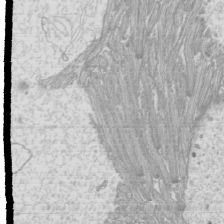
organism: Mouse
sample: Cilia; mouse epididymis